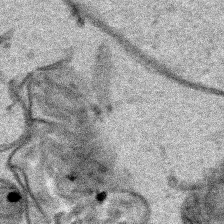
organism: Human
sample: Mitochondria in HCT116 cells